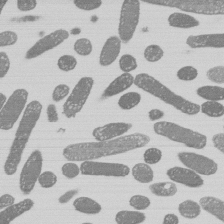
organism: E. coli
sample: Bacterial nucleoid